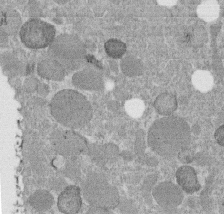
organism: C. elegans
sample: C. elegans embryo early stage